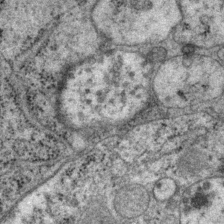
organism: P. pacificus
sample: Pharynx